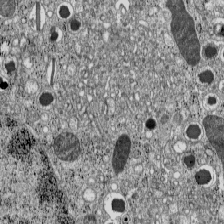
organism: C57BL Mouse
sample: Pancreatic islet